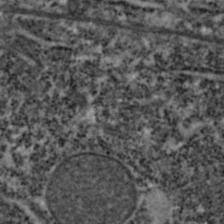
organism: Zebrafish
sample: Zebrafish embryo